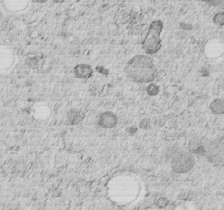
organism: C. elegans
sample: C. elegans embryo early stage